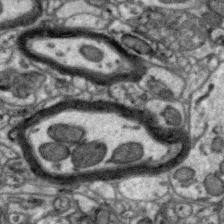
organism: Zebra finch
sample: Brain